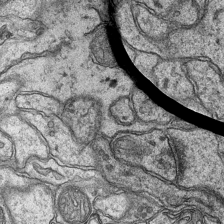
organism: Mouse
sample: CA1 Hippocampus